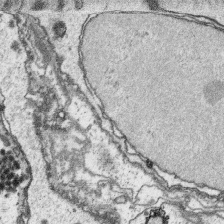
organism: Platynereis dumerilii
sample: Parapodia